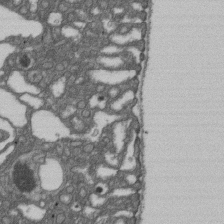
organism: Drosophila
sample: Nephrocyte